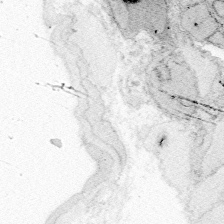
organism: Zebrafish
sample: Whole-Brain